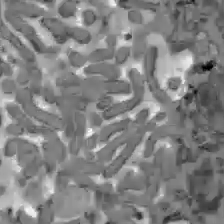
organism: C57BL Mouse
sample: Liver